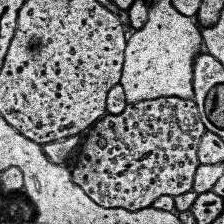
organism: Human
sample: Temporal Lobe